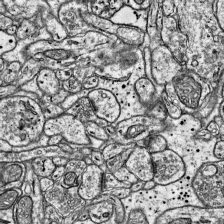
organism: Mouse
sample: Visual Cortex